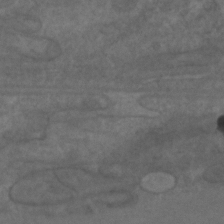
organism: C. elegans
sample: C. elegans embryo